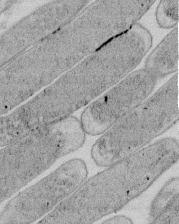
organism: E. coli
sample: Bacterial nucleoid